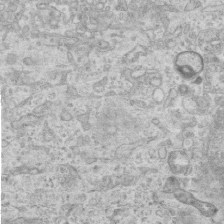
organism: Mouse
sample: Centriole in ependymal cells